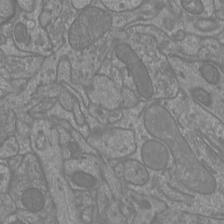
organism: Mouse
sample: Cortical neurons